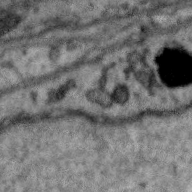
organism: Zebra finch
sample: Brain